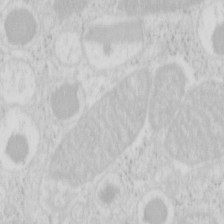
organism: Mouse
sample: Pancreas